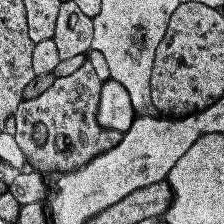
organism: Human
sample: Temporal Lobe